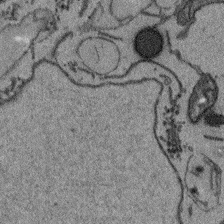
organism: Arabidopsis thaliana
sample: Root tip